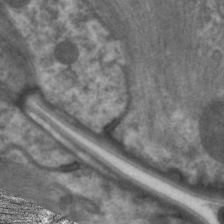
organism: C. elegans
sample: Pharynx